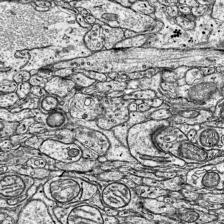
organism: Mouse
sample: Visual Cortex